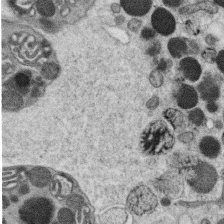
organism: C. elegans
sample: C. elegans oocyte; sperm cells